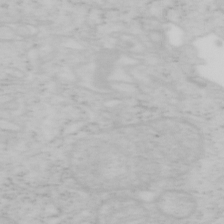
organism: Mouse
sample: OT-I killer T cells with ID8 ovarian cancer cells